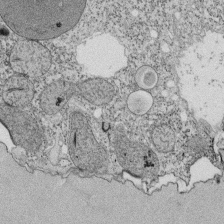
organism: Tetrahymena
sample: Cilia in tetrahymena